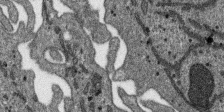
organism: Human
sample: Lung epithelial cells infected with SARS-CoV-2